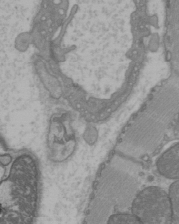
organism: C57BL Mouse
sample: Heart